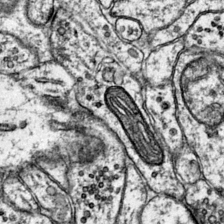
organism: Mouse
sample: Primary visual cortex